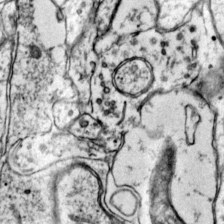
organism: Mouse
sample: Primary visual cortex